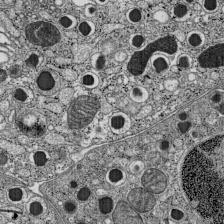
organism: C57BL Mouse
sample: Pancreatic islet